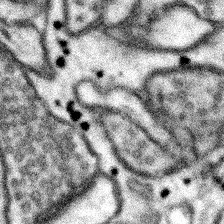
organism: Mouse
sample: Somatosensory cortex neuropil